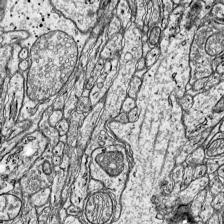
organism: Mouse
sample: Visual Cortex